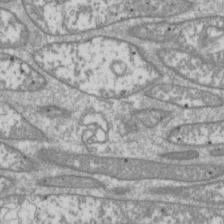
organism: Drosophila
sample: Cell division; meiosis; drosophila spermatocytes